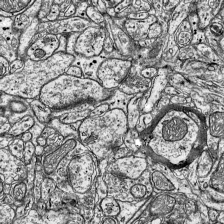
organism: Mouse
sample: Visual Cortex